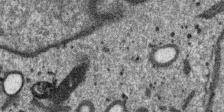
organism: Human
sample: Lung epithelial cells infected with SARS-CoV-2